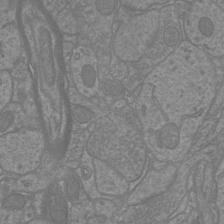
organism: Mouse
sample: Cortical neurons